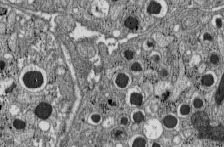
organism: C57BL Mouse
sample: Pancreatic islet